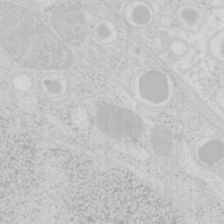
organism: Mouse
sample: Pancreas